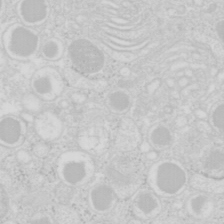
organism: Mouse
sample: Pancreas